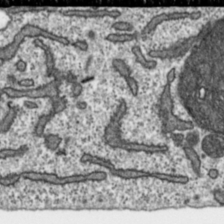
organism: Toxoplasma gondii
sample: Parasites in a vacuole inside a host cell